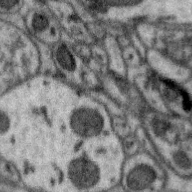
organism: Zebra finch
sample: Brain